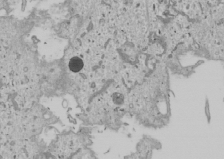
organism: Human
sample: Mitochondria in U2OS cells